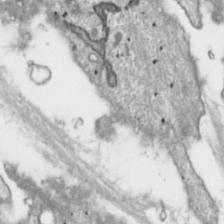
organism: Toxoplasma gondii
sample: Parasites in a vacuole inside a host cell